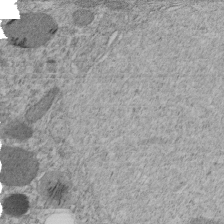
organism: C. elegans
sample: C. elegans embryo early stage